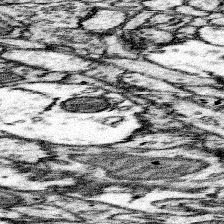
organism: Mouse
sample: Somatosensory cortex neuropil